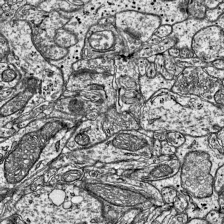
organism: Mouse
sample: Visual Cortex